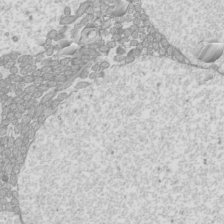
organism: Mouse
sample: Cilia; mouse epididymis